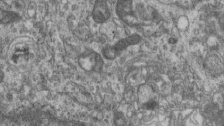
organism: Mouse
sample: Centriole in ependymal cells